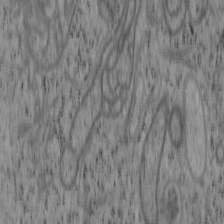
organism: Human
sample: HeLa cells